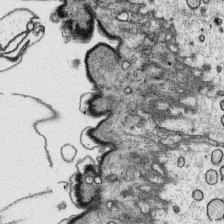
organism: Platynereis dumerilii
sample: Parapodia